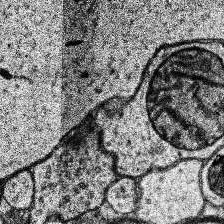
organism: Human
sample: Temporal Lobe